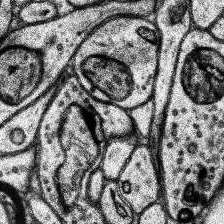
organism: Human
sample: Temporal Lobe